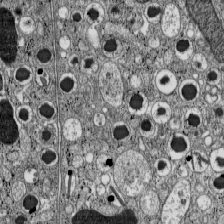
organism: C57BL Mouse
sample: Pancreatic islet